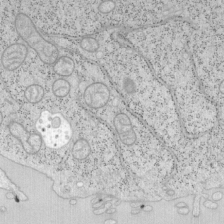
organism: Mouse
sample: OT-I killer T cells with ID8 ovarian cancer cells